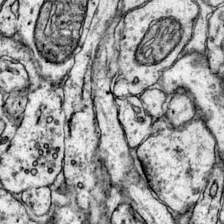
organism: Mouse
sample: Primary visual cortex